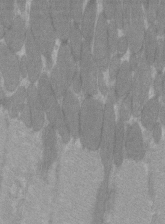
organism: C57BL Mouse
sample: Tibialis anterior muscle cell